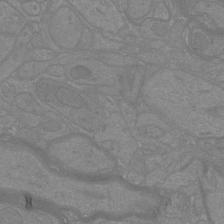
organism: Mouse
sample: Cortical neurons